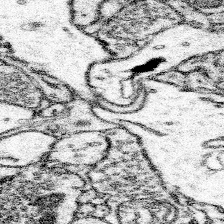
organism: Mouse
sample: Somatosensory cortex neuropil